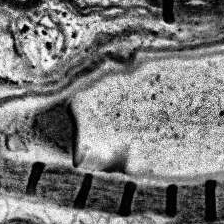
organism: Human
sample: Temporal Lobe